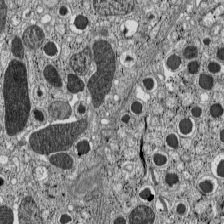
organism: C57BL Mouse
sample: Pancreatic islet